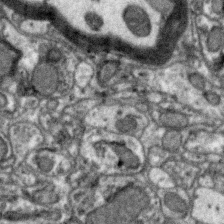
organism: Zebra finch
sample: Brain